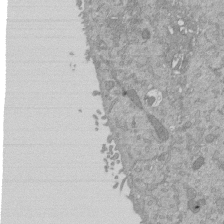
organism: Mouse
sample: ED-1 cell nuclei; centrioles